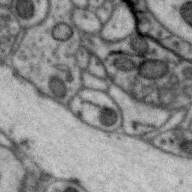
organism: Zebra finch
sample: Brain